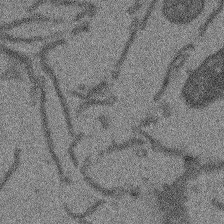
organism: Arabidopsis thaliana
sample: Root tip